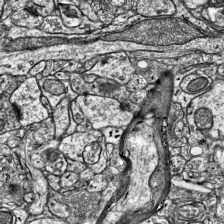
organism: Mouse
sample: Visual Cortex